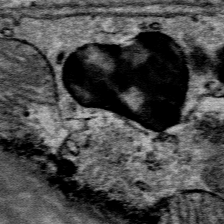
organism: Mouse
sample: Mouse Salivary gland